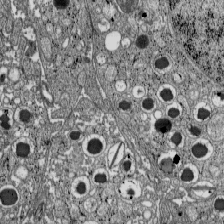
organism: C57BL Mouse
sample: Pancreatic islet